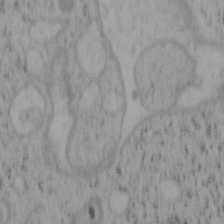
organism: Mouse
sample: OT-I killer T cells with ID8 ovarian cancer cells